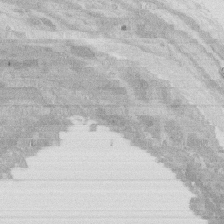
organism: Rat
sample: Salivary granule